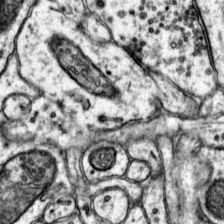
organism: Mouse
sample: Primary visual cortex